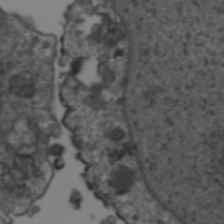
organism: Human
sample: HIV-1 Gag-iGFP